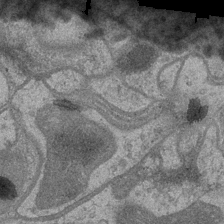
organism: Drosophila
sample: Optic medulla